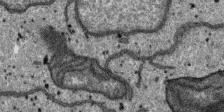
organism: Human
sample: Lung epithelial cells, uninfected (mock) control